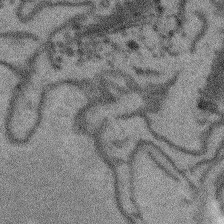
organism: Arabidopsis thaliana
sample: Root tip